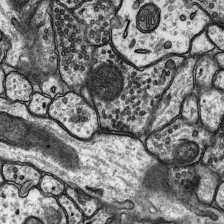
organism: Rat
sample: Hippocampus